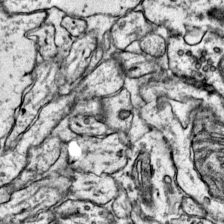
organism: Mouse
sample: Primary visual cortex